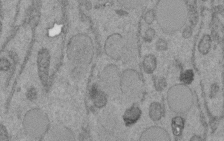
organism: C. elegans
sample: C. elegans embryo early stage